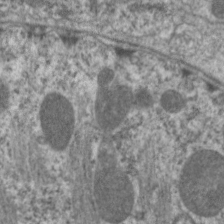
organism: C. elegans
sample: Pharynx